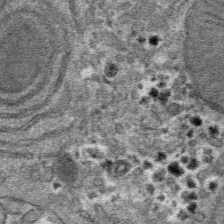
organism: Mouse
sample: Mouse hepatocytes